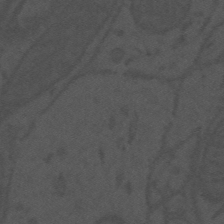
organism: Mouse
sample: Suprachiasmatic nucleus